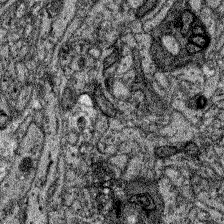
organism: Zebrafish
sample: Larval olfactory bulb